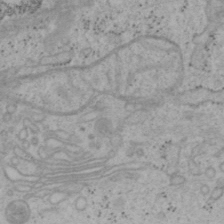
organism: Human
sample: HeLa cells